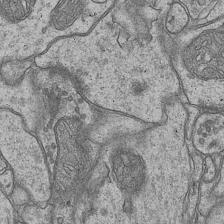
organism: Mouse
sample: CA1 Hippocampus